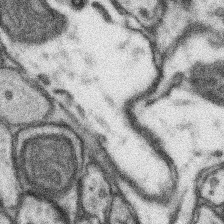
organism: Mouse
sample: Somatosensory cortex neuropil